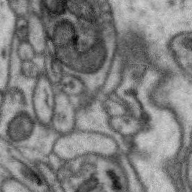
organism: Zebra finch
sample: Brain